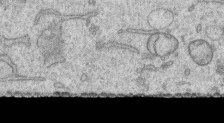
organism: Human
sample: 1205lu cells